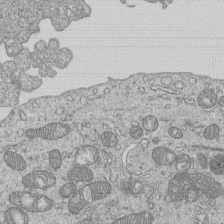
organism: Human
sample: MDA-MB-231 cells